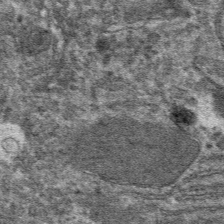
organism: Mouse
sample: Mouse hepatocytes